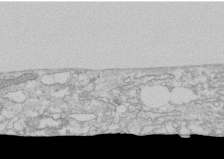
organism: Human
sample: CRL-1474